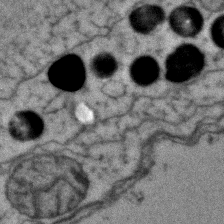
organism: Zebrafish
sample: Zebrafish embryo